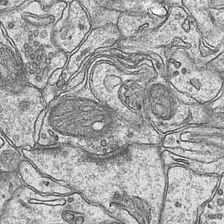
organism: Mouse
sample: CA1 Hippocampus